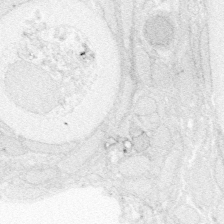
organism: Zebrafish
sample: Whole-Brain